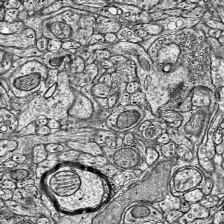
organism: Mouse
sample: Visual Cortex